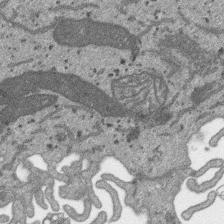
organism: Human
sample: Lung epithelial cells infected with SARS-CoV-2